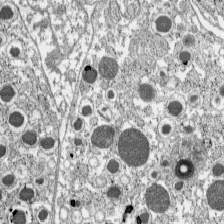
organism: C57BL Mouse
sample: Pancreatic islet